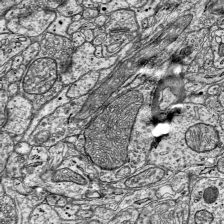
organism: Mouse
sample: Visual Cortex